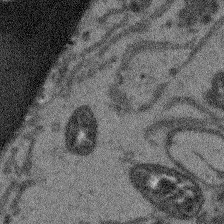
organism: Arabidopsis thaliana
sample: Root tip